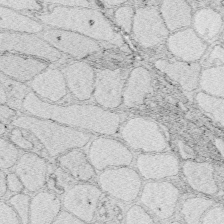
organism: Zebrafish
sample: Whole-Brain